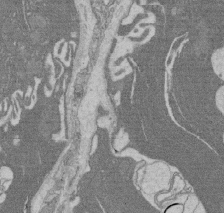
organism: Rat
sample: Salivary granule